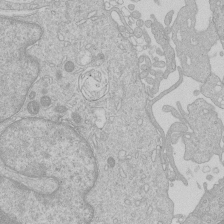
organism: Human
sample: Macrophage cells